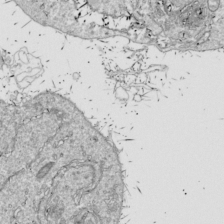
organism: Drosophila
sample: Cell division; meiosis; drosophila spermatocytes